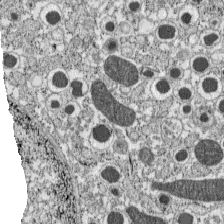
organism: C57BL Mouse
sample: Pancreatic islet